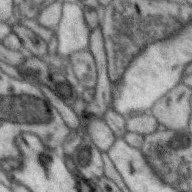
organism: Zebra finch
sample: Brain